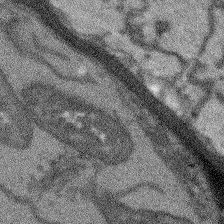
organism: Arabidopsis thaliana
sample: Root tip